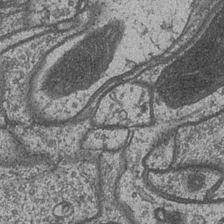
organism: Drosophila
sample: Optic medulla